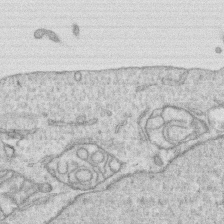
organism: Human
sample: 1205lu cells